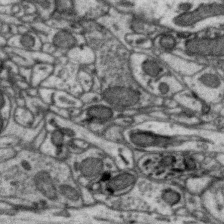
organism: Zebra finch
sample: Brain